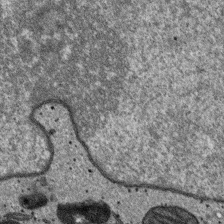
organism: Human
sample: Lung epithelial cells, uninfected (mock) control